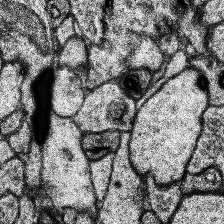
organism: Human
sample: Temporal Lobe